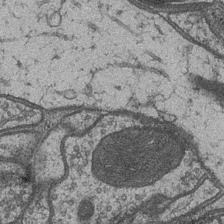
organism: Drosophila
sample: Optic medulla